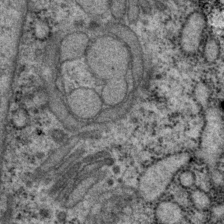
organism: P. pacificus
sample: Pharynx